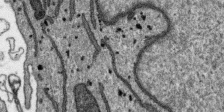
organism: Human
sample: Lung epithelial cells, uninfected (mock) control